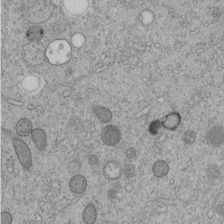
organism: C. elegans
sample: C. elegans embryo early stage